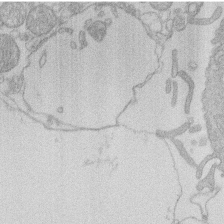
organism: Human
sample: Macrophage cells